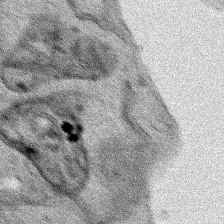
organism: Human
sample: Mitochondria in HCT116 cells